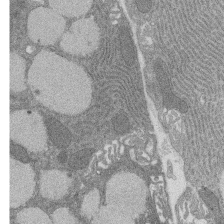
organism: Rat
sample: Salivary granule